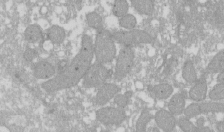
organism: Xenopus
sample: Cilia; centrioles in frog embryo cells